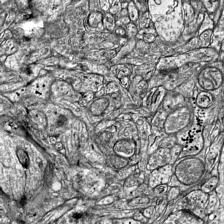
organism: Mouse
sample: Visual Cortex